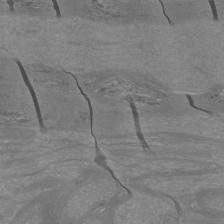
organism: Mouse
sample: Cortical neurons